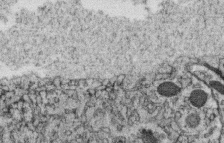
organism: C. elegans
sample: C. elegans oocyte; sperm cells